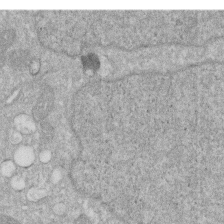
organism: Human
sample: HIV infected U937 cells